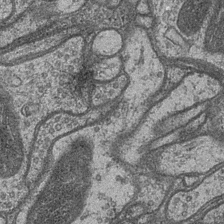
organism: Drosophila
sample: Optic medulla